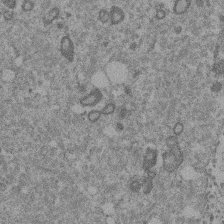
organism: Mouse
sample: Dividing mouse embryo 1 cell stage